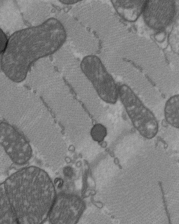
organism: C57BL Mouse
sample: Heart